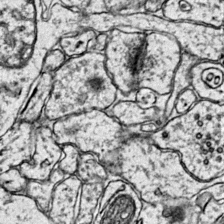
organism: Mouse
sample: Primary visual cortex